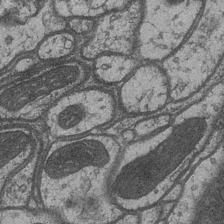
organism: Drosophila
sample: Optic medulla